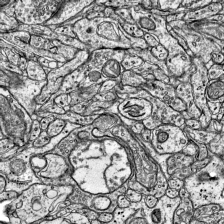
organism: Mouse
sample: Visual Cortex